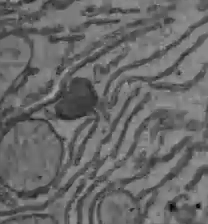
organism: C57BL Mouse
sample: Liver